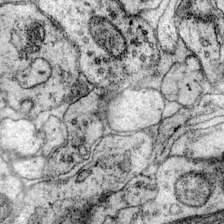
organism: Mouse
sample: Primary visual cortex